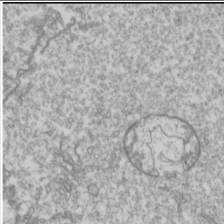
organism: Drosophila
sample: Cell division; meiosis; drosophila spermatocytes